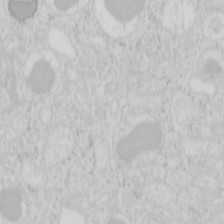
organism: Mouse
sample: Pancreas